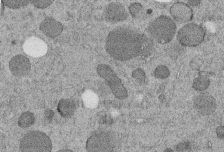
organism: C. elegans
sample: C. elegans embryo early stage